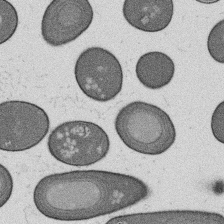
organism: B. subtilis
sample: Bacterial spore